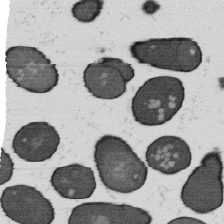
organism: B. subtilis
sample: Bacterial spore